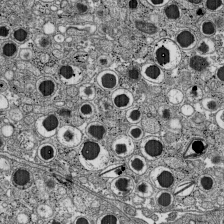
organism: C57BL Mouse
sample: Pancreatic islet